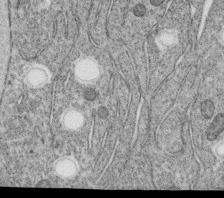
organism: C. elegans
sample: C. elegans oocyte; sperm cells